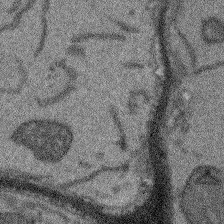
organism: Arabidopsis thaliana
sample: Root tip